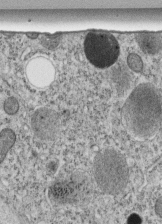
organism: C. elegans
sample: C. elegans embryo early stage